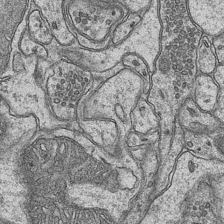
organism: Mouse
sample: CA1 Hippocampus